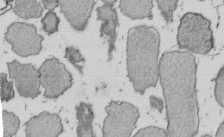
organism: E. coli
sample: Bacterial nucleoid